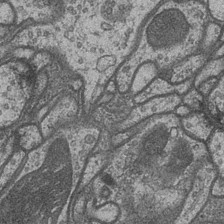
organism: Drosophila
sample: Optic medulla